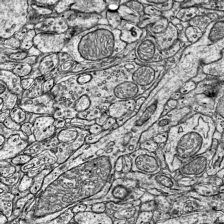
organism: Mouse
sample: Visual Cortex